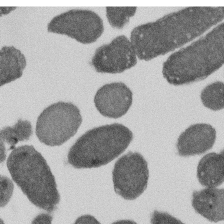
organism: E. coli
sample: Bacterial nucleoid